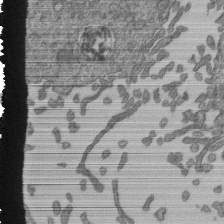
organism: Human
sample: Retinal organoid Rod and Cone cells